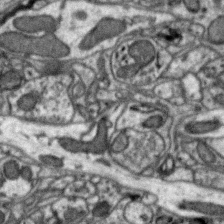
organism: Zebra finch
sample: Brain